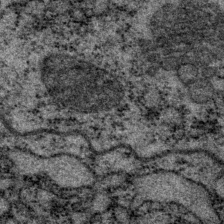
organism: P. pacificus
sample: Pharynx